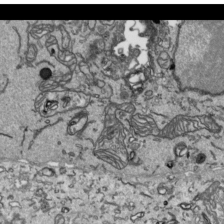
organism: Human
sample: Mitochondria in HCT116 cells